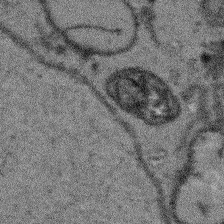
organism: Arabidopsis thaliana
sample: Root tip